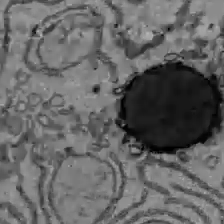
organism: C57BL Mouse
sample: Liver